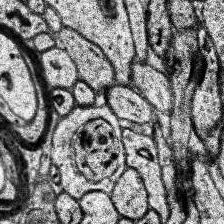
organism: Human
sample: Temporal Lobe